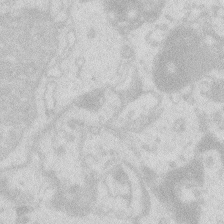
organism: Zebrafish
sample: Macrophage